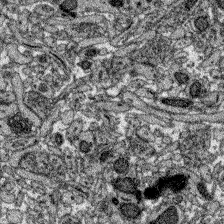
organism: Zebrafish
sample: Larval olfactory bulb